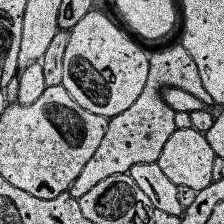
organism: Human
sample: Temporal Lobe